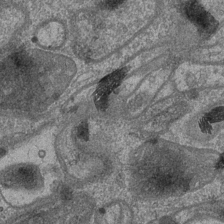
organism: Drosophila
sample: Optic medulla